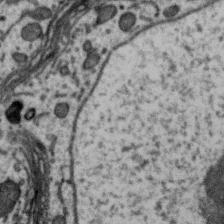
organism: Zebra finch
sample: Brain